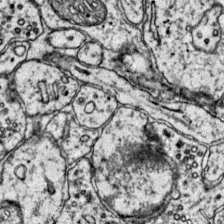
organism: Mouse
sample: Primary visual cortex